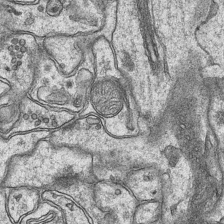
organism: Mouse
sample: CA1 Hippocampus